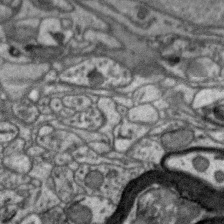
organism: Zebra finch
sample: Brain